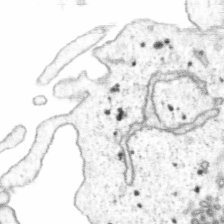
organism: Human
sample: HeLa cells